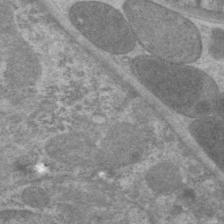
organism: C. elegans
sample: Pharynx